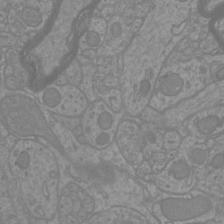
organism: Mouse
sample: Cortical neurons